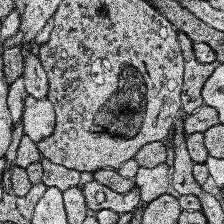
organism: Human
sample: Temporal Lobe